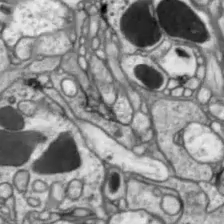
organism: Drosophila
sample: Optic lobe